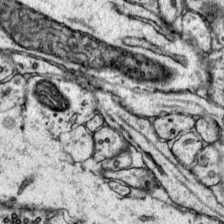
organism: Mouse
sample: Primary visual cortex